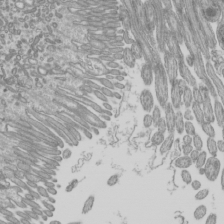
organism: Mouse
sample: Cilia; mouse epididymis